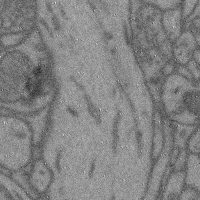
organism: Mouse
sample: Cerebral cortex